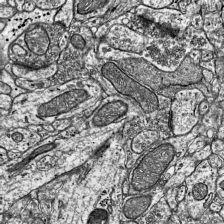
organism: Mouse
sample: Visual Cortex